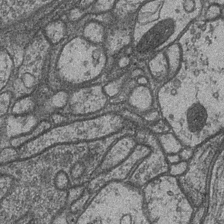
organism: Drosophila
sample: Optic medulla